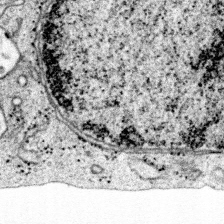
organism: Human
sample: HeLa cells